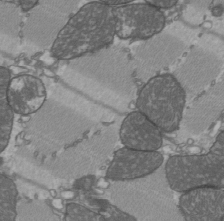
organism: C57BL Mouse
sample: Heart